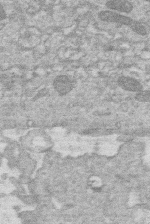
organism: Human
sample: Macrophage cells